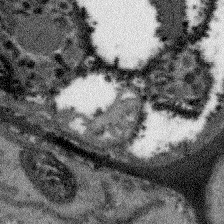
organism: Arabidopsis thaliana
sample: Root tip